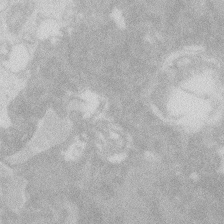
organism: Zebrafish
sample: Macrophage